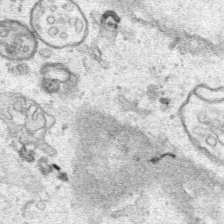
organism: Human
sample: Mitochondria in HCT116 cells